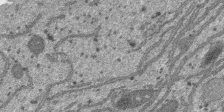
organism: Human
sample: Lung epithelial cells infected with SARS-CoV-2